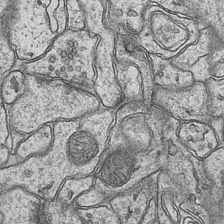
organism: Mouse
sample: CA1 Hippocampus